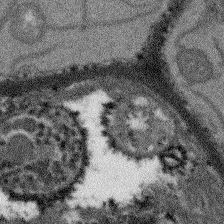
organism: Arabidopsis thaliana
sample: Root tip